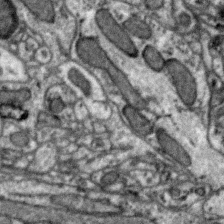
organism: Zebra finch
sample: Brain